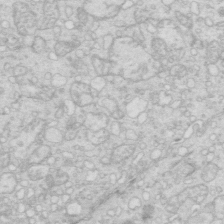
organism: Mouse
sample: Multiciliated cells